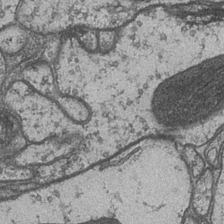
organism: Drosophila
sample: Optic medulla